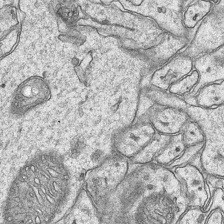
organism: Mouse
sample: CA1 Hippocampus